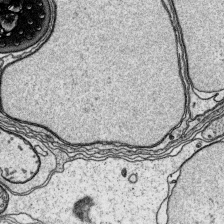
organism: Platynereis dumerilii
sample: Parapodia